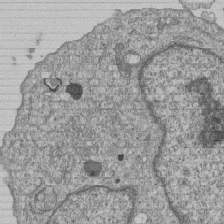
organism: Human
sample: MDA-MB-231 cells